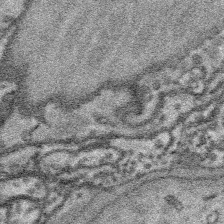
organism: Platynereis dumerilii